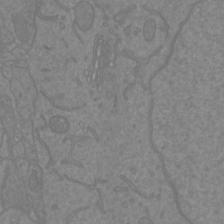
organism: Mouse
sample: Cortical neurons